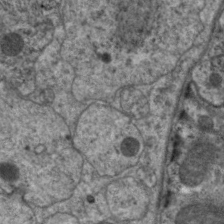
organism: C. elegans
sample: Pharynx